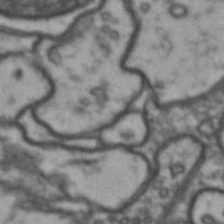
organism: Drosophila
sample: Brain